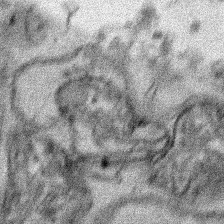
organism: Human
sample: Mitochondria in HCT116 cells